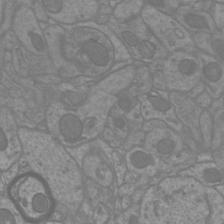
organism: Mouse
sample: Cortical neurons